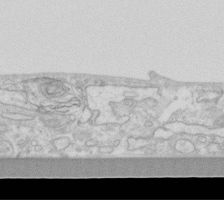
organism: Human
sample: Fibroblast cells